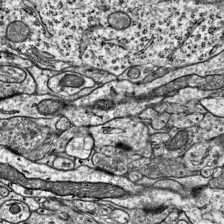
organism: Mouse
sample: Visual Cortex